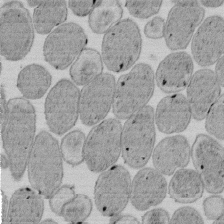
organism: E. coli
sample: Bacterial nucleoid